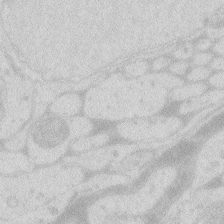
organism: Zebrafish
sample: Macrophage